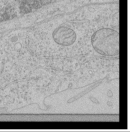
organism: Human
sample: Mitochondria in HCT116 cells